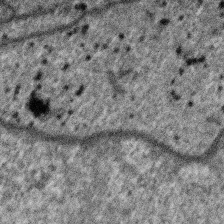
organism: Human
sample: Lung epithelial cells infected with SARS-CoV-2